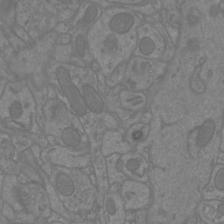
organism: Mouse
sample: Cortical neurons